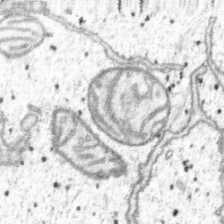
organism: Human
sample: HeLa cells